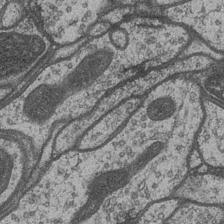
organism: Drosophila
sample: Optic medulla